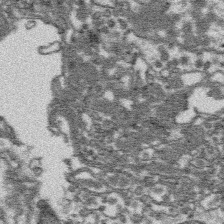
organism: Platynereis dumerilii